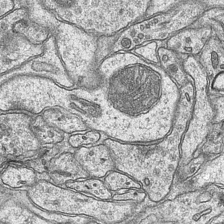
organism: Mouse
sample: CA1 Hippocampus